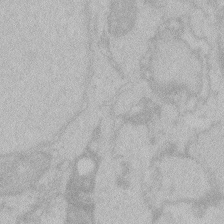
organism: Zebrafish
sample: Macrophage infected with Toxoplasma gondii